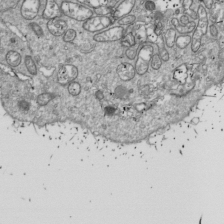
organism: Drosophila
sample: Cell division; meiosis; drosophila spermatocytes